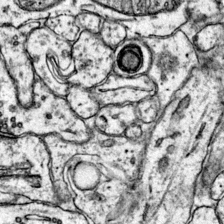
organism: Mouse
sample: Primary visual cortex